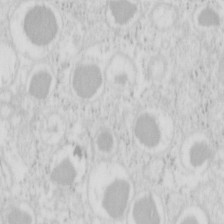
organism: Mouse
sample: Pancreas